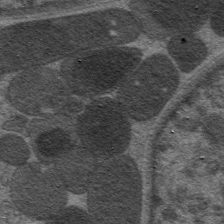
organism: C. elegans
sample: Pharynx